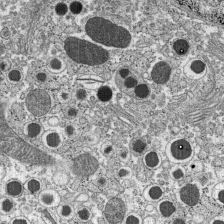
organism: C57BL Mouse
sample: Pancreatic islet